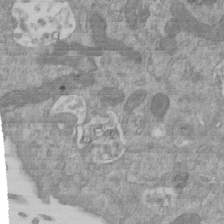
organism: Mouse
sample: ED-1 cell nuclei; centrioles